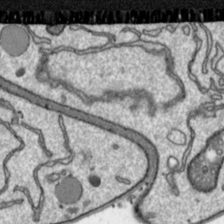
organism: Toxoplasma gondii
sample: Parasites in a vacuole inside a host cell